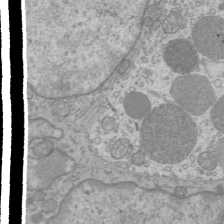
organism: Mouse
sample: Cilia; mouse epididymis